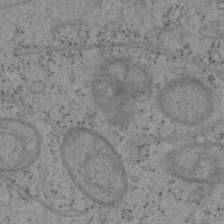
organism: Human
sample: HeLa cells